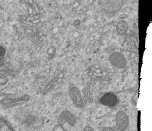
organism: Human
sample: MDA-MB-231 cells